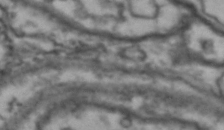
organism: Drosophila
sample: Brain